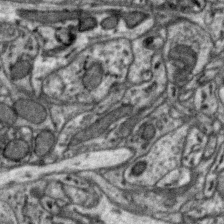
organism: Zebra finch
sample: Brain